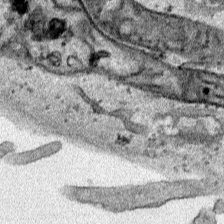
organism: Human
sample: Mitochondria in HCT116 cells